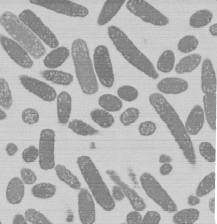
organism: E. coli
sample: Bacterial nucleoid